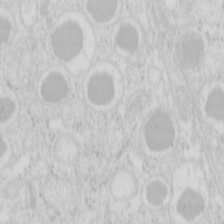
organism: Mouse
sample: Pancreas